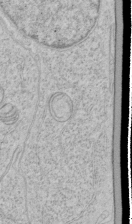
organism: Human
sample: Mitochondria in HCT116 cells